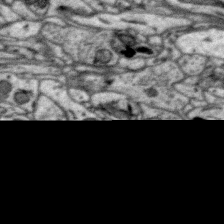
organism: Zebra finch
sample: Brain